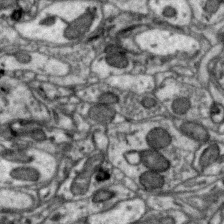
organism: Zebra finch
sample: Brain